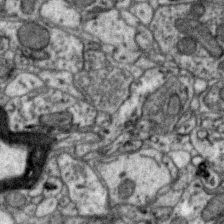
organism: Zebra finch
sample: Brain